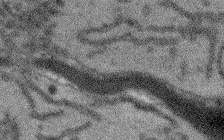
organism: Arabidopsis thaliana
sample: Root tip